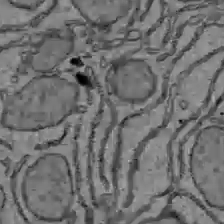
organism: C57BL Mouse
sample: Liver